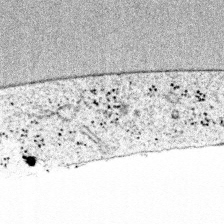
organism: Human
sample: HeLa cells